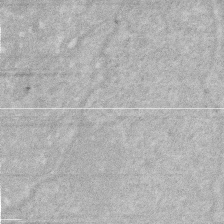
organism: Human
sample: HIV infected U937 cells